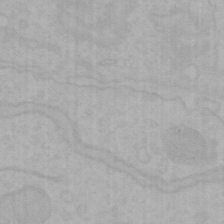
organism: Mouse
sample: Choroid plexus